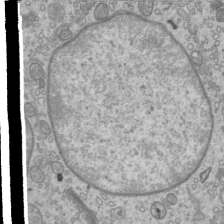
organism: Mouse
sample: Cilia; mouse epididymis